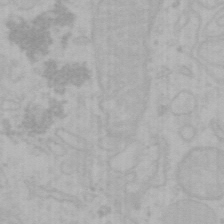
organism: Mouse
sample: Choroid plexus